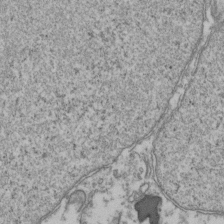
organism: Human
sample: Activated Jurkat CD4+ T cells